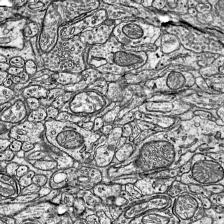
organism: Mouse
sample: Visual Cortex